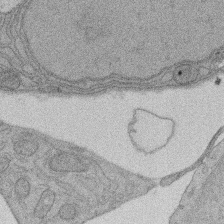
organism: Rat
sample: Salivary granule